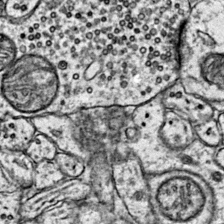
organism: Mouse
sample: Primary visual cortex